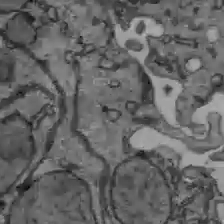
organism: C57BL Mouse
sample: Liver